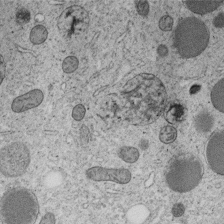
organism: C. elegans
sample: C. elegans embryo early stage